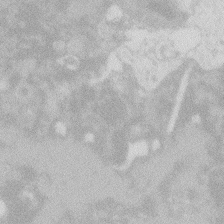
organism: Zebrafish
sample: Macrophage